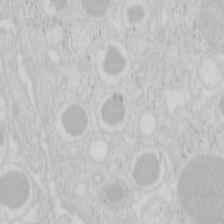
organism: Mouse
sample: Pancreas